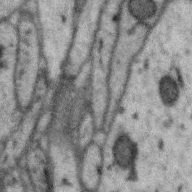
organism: Zebra finch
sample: Brain